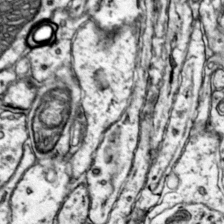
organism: Mouse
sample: Primary visual cortex